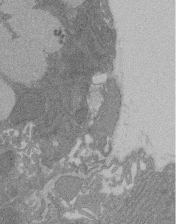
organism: Rat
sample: Salivary granule